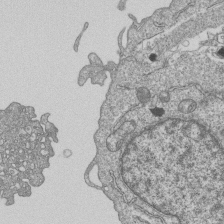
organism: Human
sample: MDA-MB-231 cells